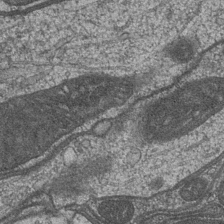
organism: Drosophila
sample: Optic medulla